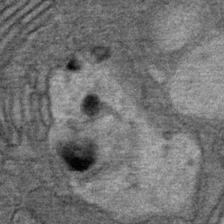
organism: Mouse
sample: Mouse Salivary gland